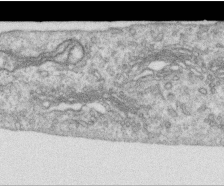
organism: Human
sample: Centriole in RPE cells